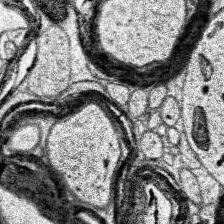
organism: Human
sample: Temporal Lobe